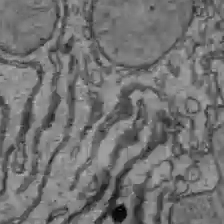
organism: C57BL Mouse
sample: Liver